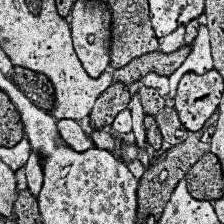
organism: Human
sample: Temporal Lobe